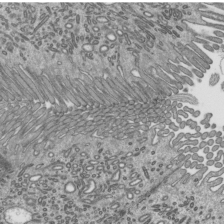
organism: Mouse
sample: Mouse epididymis efferent ductule cilia